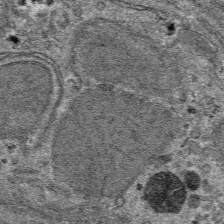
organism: Mouse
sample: Mouse hepatocytes